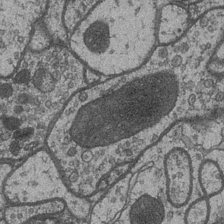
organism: Drosophila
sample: Optic medulla